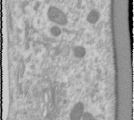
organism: Human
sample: Cilia; basal body in RPE cells